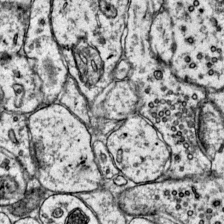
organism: Mouse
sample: Primary visual cortex